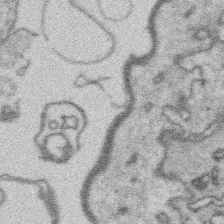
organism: Platynereis dumerilii